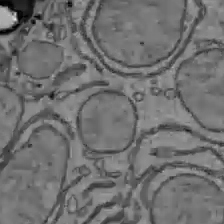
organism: C57BL Mouse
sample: Liver